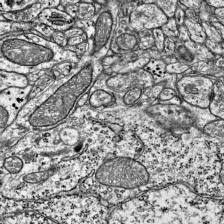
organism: Mouse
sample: Visual Cortex